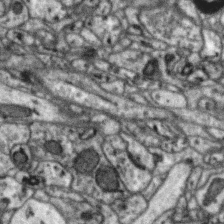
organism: Zebra finch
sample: Brain